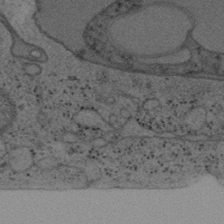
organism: Human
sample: HeLa cells